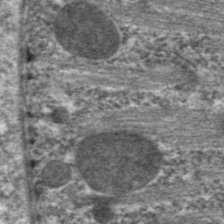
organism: C. elegans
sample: Pharynx